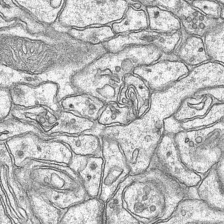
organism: Mouse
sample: CA1 Hippocampus